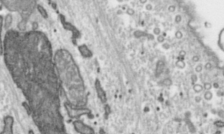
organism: Toxoplasma gondii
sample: Parasites in a vacuole inside a host cell